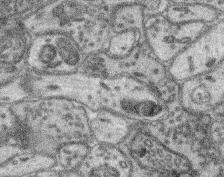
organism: Mouse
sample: Retina